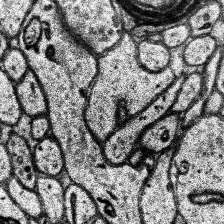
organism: Human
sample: Temporal Lobe